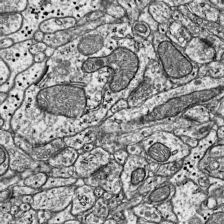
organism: Mouse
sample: Visual Cortex